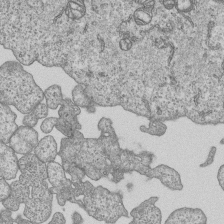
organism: Human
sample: MDA-MB-231 cells